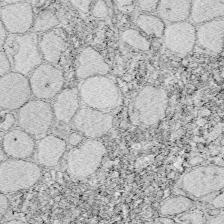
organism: Zebrafish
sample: Whole-Brain